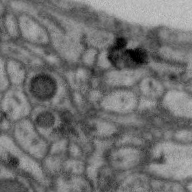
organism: Zebra finch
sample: Brain